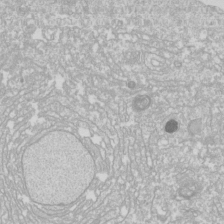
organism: Drosophila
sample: Cell division; meiosis; drosophila spermatocytes